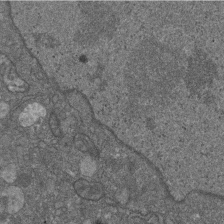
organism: Drosophila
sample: Nephrocyte